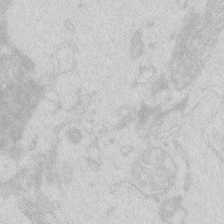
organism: Zebrafish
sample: Macrophage